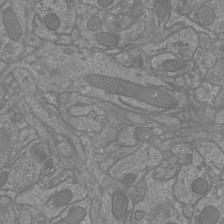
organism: Mouse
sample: Cortical neurons